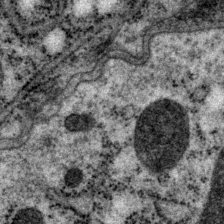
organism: P. pacificus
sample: Pharynx